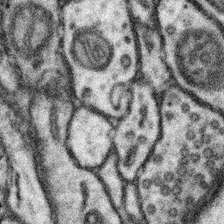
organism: Mouse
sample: Somatosensory cortex neuropil